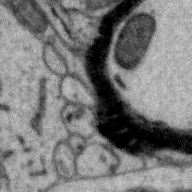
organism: Zebra finch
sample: Brain